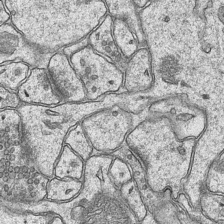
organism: Mouse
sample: CA1 Hippocampus